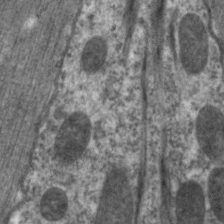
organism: C. elegans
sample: Pharynx